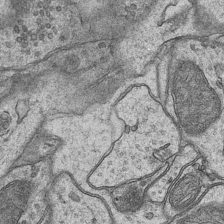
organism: Mouse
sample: CA1 Hippocampus